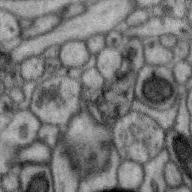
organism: Zebra finch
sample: Brain